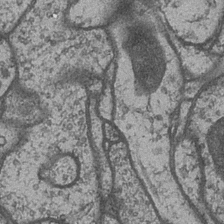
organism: Drosophila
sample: Optic medulla